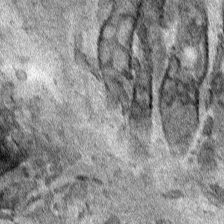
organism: Human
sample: Mitochondria in HCT116 cells